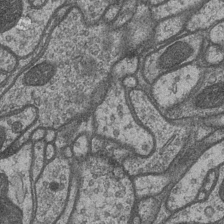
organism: Drosophila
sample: Optic medulla